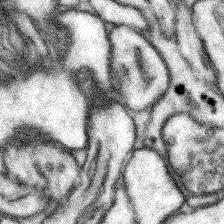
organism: Mouse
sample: Somatosensory cortex neuropil